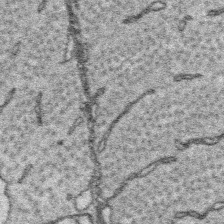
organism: Platynereis dumerilii